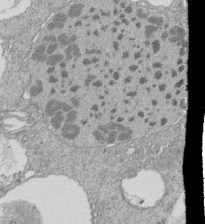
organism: Tetrahymena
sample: Cilia in tetrahymena